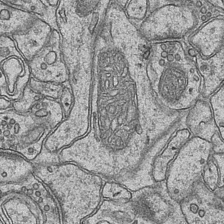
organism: Mouse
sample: CA1 Hippocampus